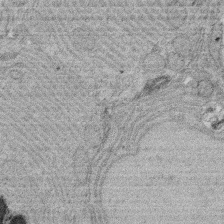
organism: Rat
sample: Salivary granule